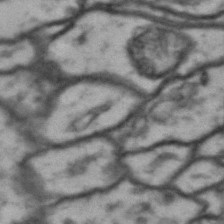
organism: Drosophila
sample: Brain